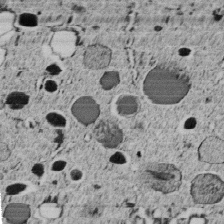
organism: C. elegans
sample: C. elegans embryo early stage